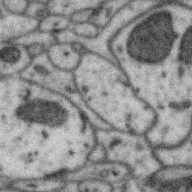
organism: Zebra finch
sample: Brain